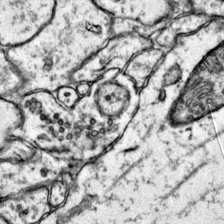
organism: Mouse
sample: Primary visual cortex